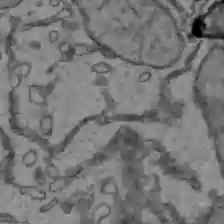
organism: C57BL Mouse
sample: Liver